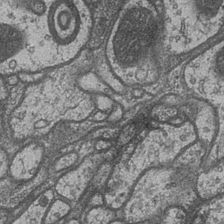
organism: Drosophila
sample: Optic medulla